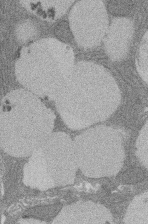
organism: Rat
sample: Salivary granule